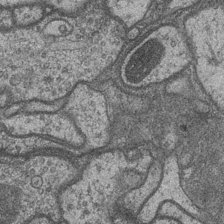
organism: Drosophila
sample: Optic medulla